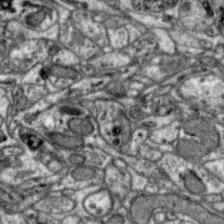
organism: Zebra finch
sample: Brain